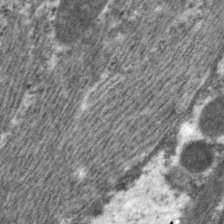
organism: C. elegans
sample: Pharynx